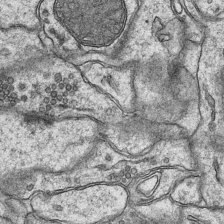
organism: Mouse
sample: CA1 Hippocampus